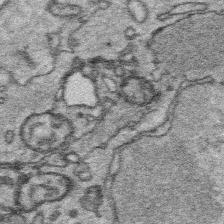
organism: Platynereis dumerilii